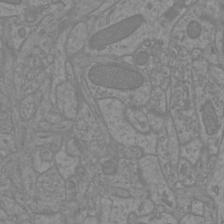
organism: Mouse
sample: Cortical neurons